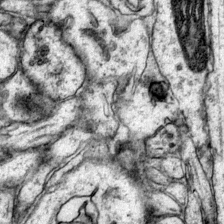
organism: Mouse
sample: Primary visual cortex